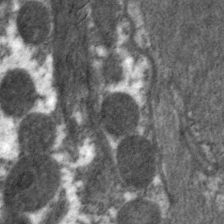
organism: C. elegans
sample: Pharynx